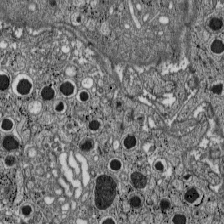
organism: C57BL Mouse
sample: Pancreatic islet